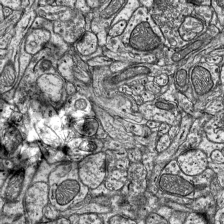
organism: Mouse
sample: Visual Cortex